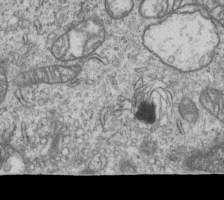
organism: Human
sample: MDA-MB-231 cells